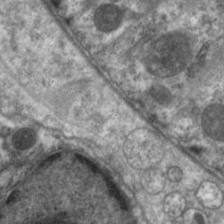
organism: C. elegans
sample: Pharynx